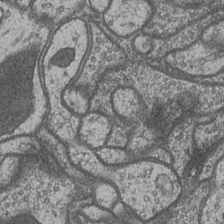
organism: Drosophila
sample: Optic medulla